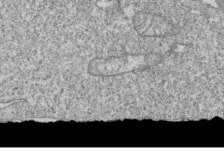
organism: Human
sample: HeLa cell HIV synapse